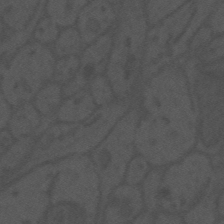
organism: Mouse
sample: Suprachiasmatic nucleus